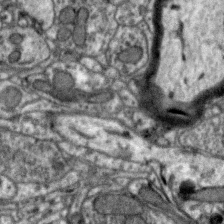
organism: Zebra finch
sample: Brain